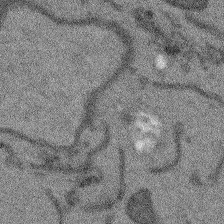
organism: Arabidopsis thaliana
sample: Root tip